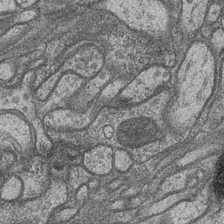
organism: Drosophila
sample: Optic medulla